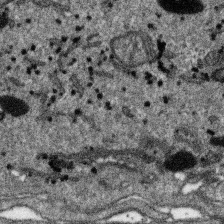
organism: Human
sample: Lung epithelial cells infected with SARS-CoV-2